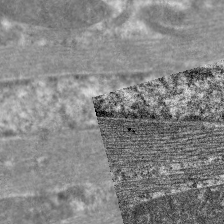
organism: C. elegans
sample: Pharynx